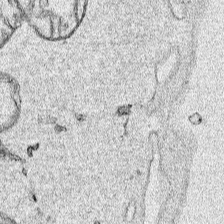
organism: Human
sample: Mitochondria in HCT116 cells